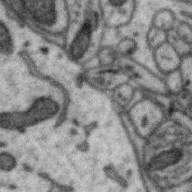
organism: Zebra finch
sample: Brain